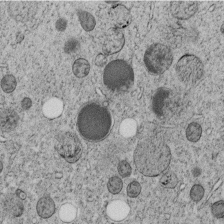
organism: C. elegans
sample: C. elegans embryo early stage